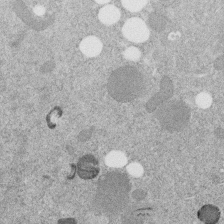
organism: C. elegans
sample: C. elegans embryo early stage